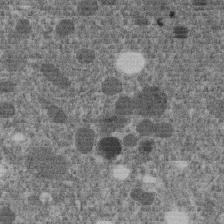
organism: C. elegans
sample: C. elegans embryo early stage